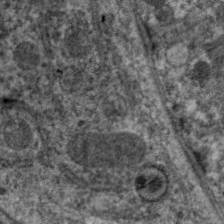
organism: C. elegans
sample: Pharynx